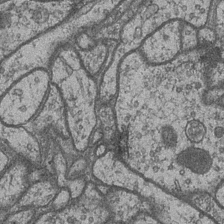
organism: Drosophila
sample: Optic medulla